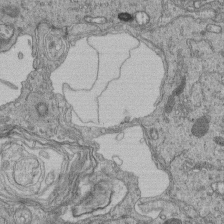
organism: Human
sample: Retinal organoid Rod and Cone cells